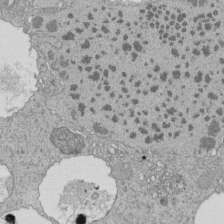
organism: Tetrahymena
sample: Cilia in tetrahymena